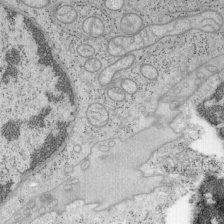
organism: Mouse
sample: OT-I killer T cells with ID8 ovarian cancer cells